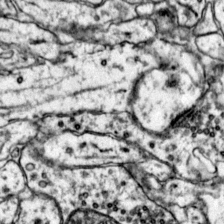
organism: Mouse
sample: Primary visual cortex